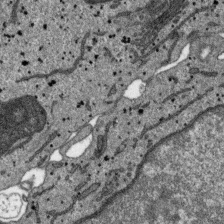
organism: Human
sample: Lung epithelial cells, uninfected (mock) control